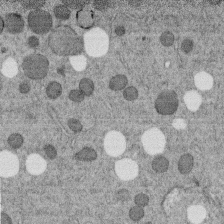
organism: C. elegans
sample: C. elegans embryo early stage